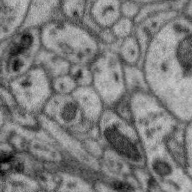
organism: Zebra finch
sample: Brain